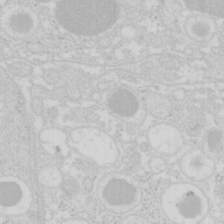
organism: Mouse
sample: Pancreas